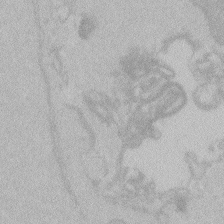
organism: Zebrafish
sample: Macrophage infected with Toxoplasma gondii